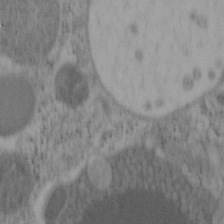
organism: Mouse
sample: OT-I killer T cells with ID8 ovarian cancer cells